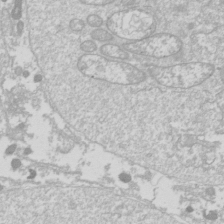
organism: Drosophila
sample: Cell division; meiosis; drosophila spermatocytes